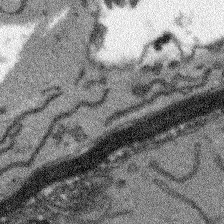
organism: Arabidopsis thaliana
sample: Root tip